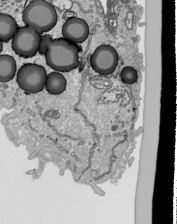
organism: Human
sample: Mitochondria in HCT116 cells